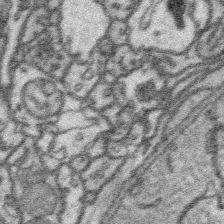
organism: Platynereis dumerilii